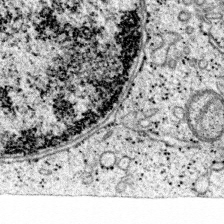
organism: Human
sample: HeLa cells